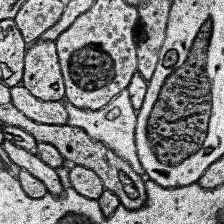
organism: Human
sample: Temporal Lobe